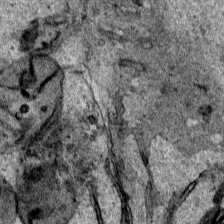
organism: Human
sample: Mitochondria in HCT116 cells